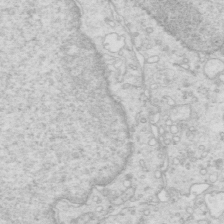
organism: Mouse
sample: Multiciliated cells